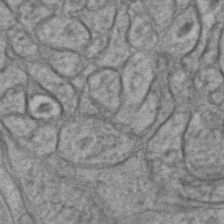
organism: C. elegans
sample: C. elegans embryo